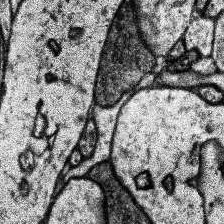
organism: Human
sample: Temporal Lobe